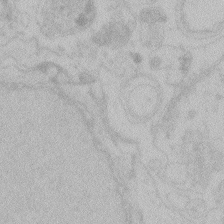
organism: Zebrafish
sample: Macrophage infected with Toxoplasma gondii